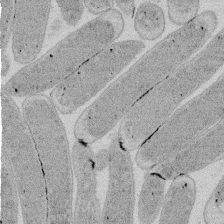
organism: E. coli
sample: Bacterial nucleoid